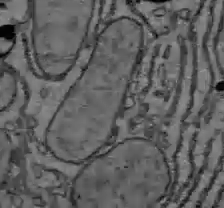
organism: C57BL Mouse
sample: Liver